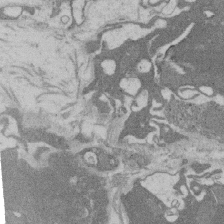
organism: Rat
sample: Salivary granule